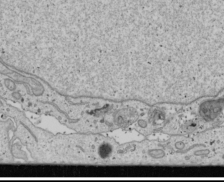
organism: Human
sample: Mitochondria in U2OS cells